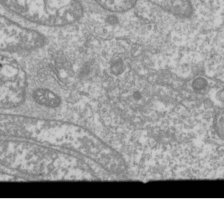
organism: Drosophila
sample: Cell division; meiosis; drosophila spermatocytes